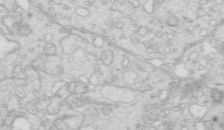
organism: Mouse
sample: Multiciliated cells